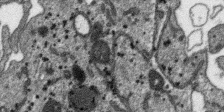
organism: Human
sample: Lung epithelial cells infected with SARS-CoV-2